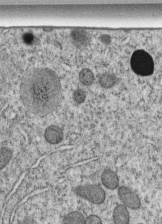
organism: C. elegans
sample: C. elegans embryo early stage